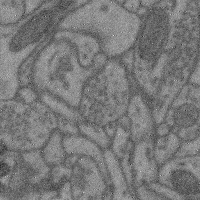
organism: Mouse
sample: Cerebral cortex